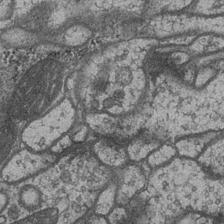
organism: Drosophila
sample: Optic medulla